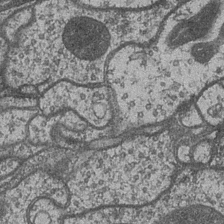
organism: Drosophila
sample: Optic medulla